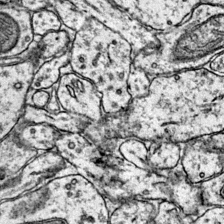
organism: Mouse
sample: Primary visual cortex